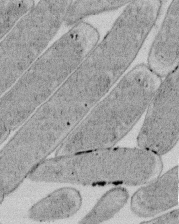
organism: E. coli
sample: Bacterial nucleoid